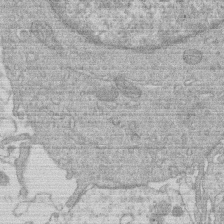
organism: Human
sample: Macrophage cells